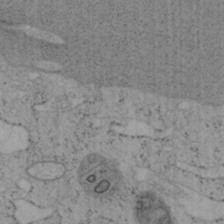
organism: Mouse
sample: OT-I killer T cells with ID8 ovarian cancer cells